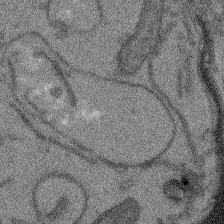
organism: Arabidopsis thaliana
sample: Root tip